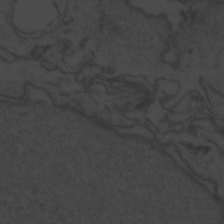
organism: Zebrafish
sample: Macrophage infected with Toxoplasma gondii